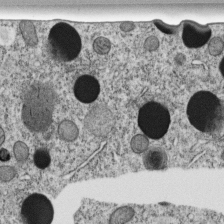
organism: C. elegans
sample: C. elegans embryo early stage